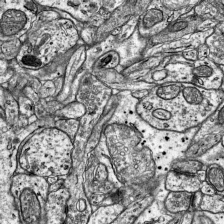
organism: Mouse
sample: Visual Cortex